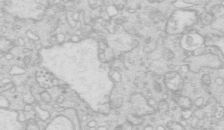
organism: Mouse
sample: Multiciliated cells